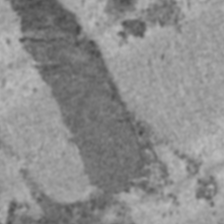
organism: C57BL Mouse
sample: Heart